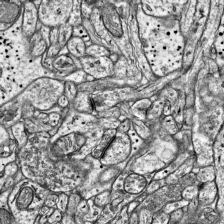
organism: Mouse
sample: Visual Cortex